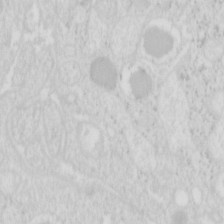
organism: Mouse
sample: Pancreas